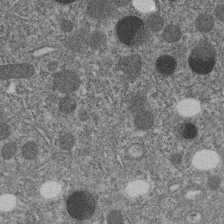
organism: C. elegans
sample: C. elegans embryo early stage